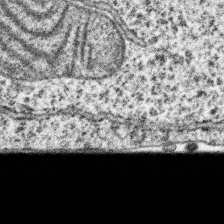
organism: Human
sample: HeLa cells